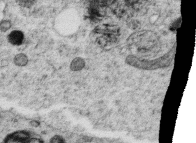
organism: C. elegans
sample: C. elegans oocyte; sperm cells